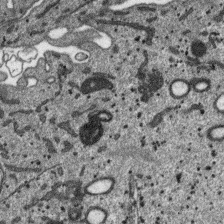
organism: Human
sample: Lung epithelial cells infected with SARS-CoV-2